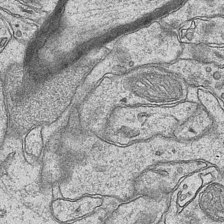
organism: Mouse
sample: CA1 Hippocampus